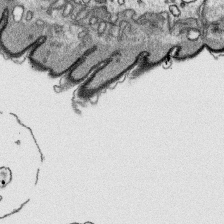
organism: Platynereis dumerilii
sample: Parapodia